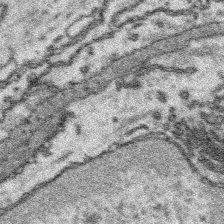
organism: Platynereis dumerilii